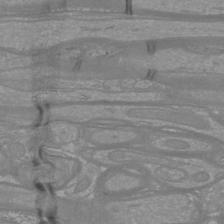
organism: Mouse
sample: Cortical neurons